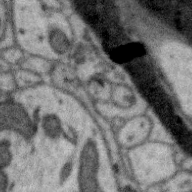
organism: Zebra finch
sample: Brain